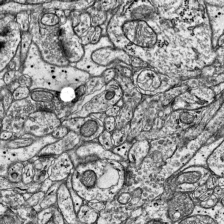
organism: Mouse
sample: Visual Cortex